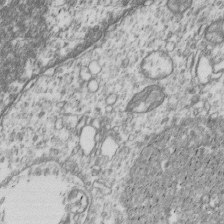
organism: Human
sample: MDA-MB-231 cells